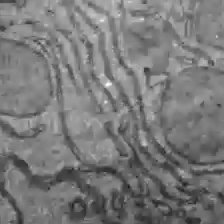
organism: C57BL Mouse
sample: Liver